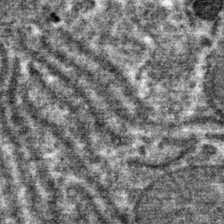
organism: Mouse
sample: Mouse hepatocytes